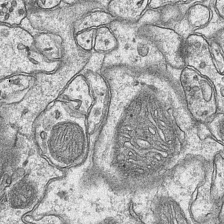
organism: Mouse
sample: CA1 Hippocampus